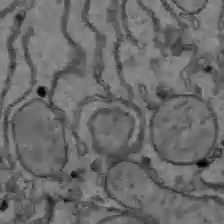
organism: C57BL Mouse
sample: Liver